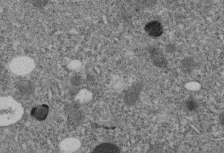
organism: C. elegans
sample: C. elegans embryo early stage